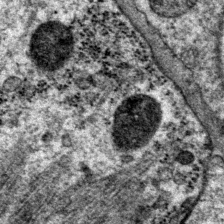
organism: P. pacificus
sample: Pharynx